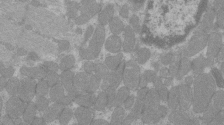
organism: C57BL Mouse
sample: Tibialis anterior muscle cell